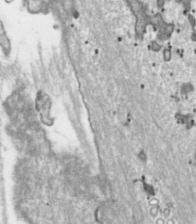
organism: Toxoplasma gondii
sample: Parasites in a vacuole inside a host cell